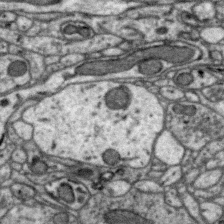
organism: Zebra finch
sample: Brain